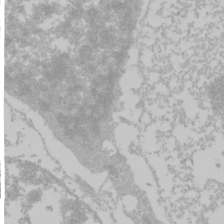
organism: Mouse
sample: Cancer cell death in ED-1 cells